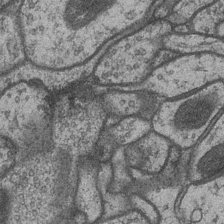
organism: Drosophila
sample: Optic medulla